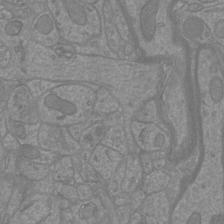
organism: Mouse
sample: Cortical neurons